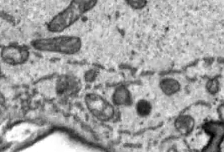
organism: Human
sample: HeLa cells